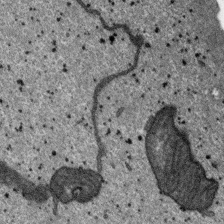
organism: Human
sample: Lung epithelial cells, uninfected (mock) control